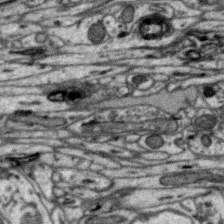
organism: Zebra finch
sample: Brain